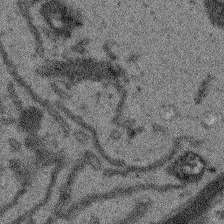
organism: Arabidopsis thaliana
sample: Root tip